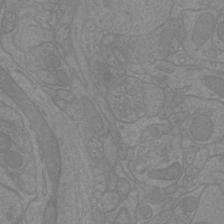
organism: Mouse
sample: Cortical neurons